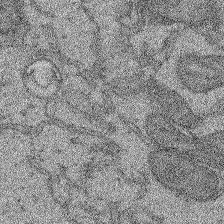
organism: Human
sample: HeLa cells